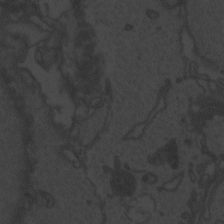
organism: Zebrafish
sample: Macrophage infected with Toxoplasma gondii